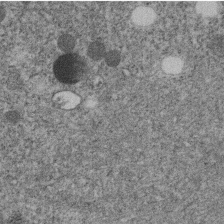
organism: C. elegans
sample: C. elegans embryo early stage